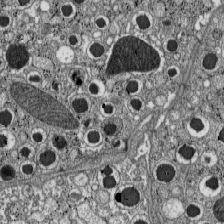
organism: C57BL Mouse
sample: Pancreatic islet